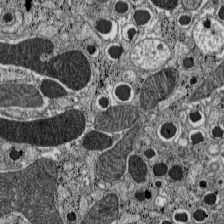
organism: C57BL Mouse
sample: Pancreatic islet